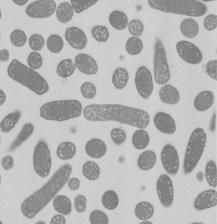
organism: E. coli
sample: Bacterial nucleoid